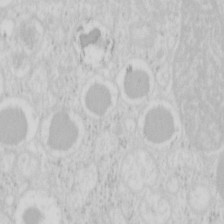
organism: Mouse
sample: Pancreas